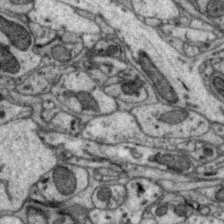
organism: Zebra finch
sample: Brain